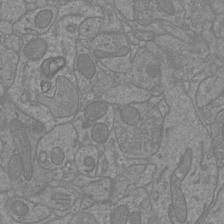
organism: Mouse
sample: Cortical neurons